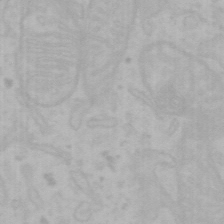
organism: Mouse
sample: Choroid plexus